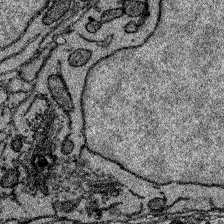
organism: Zebrafish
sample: Larval olfactory bulb